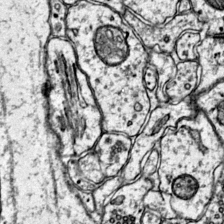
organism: Mouse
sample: Primary visual cortex